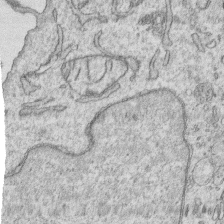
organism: Human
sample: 1205lu cells